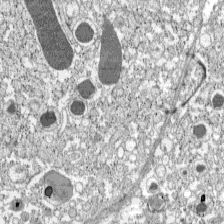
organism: C57BL Mouse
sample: Pancreatic islet